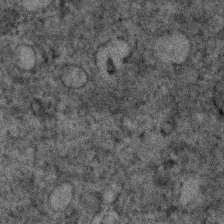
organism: Human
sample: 1205lu cells